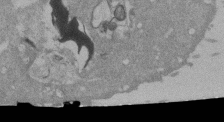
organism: Mouse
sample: ED-1 cell nuclei; centrioles